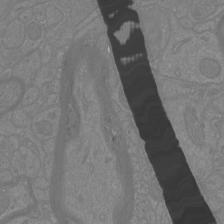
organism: Mouse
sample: Cortical neurons